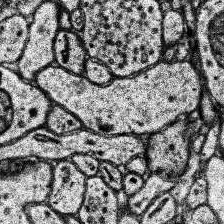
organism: Human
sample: Temporal Lobe